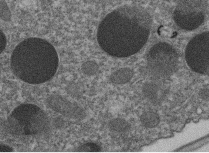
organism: C. elegans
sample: C. elegans embryo early stage